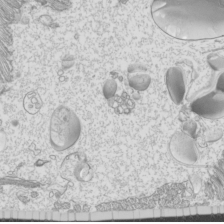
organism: Mouse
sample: Cilia; mouse epididymis